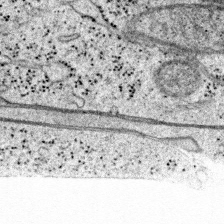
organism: Human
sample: HeLa cells